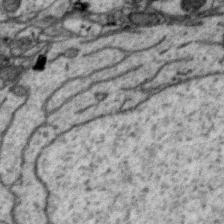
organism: Zebra finch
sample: Brain